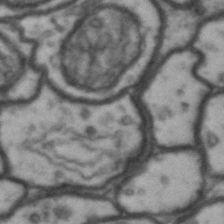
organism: Drosophila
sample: Brain